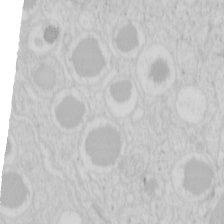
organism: Mouse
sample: Pancreas